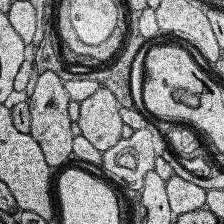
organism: Human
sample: Temporal Lobe